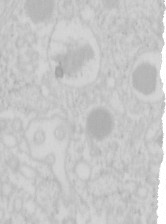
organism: Mouse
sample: Pancreas